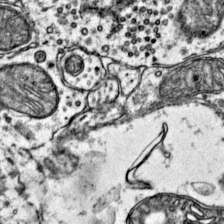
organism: Mouse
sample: Primary visual cortex